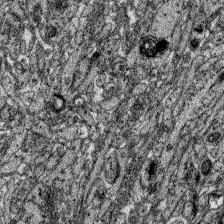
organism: Zebrafish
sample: Larval olfactory bulb